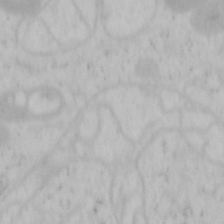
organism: Human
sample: HeLa cells